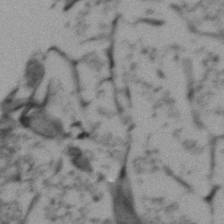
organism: Zebrafish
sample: Zebrafish embryo